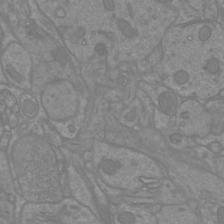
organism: Mouse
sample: Cortical neurons